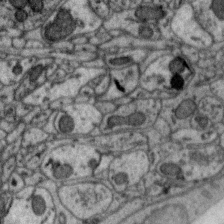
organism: Zebra finch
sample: Brain